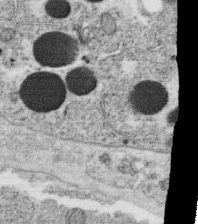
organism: C. elegans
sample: C. elegans oocyte; sperm cells